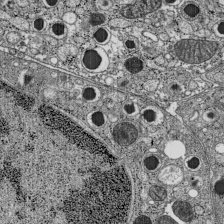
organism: C57BL Mouse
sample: Pancreatic islet